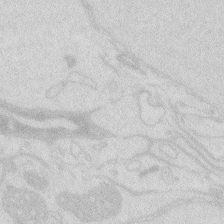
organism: Zebrafish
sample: Macrophage